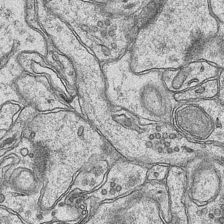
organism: Mouse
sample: CA1 Hippocampus